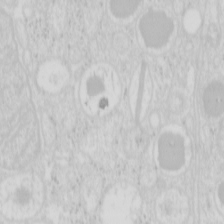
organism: Mouse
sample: Pancreas